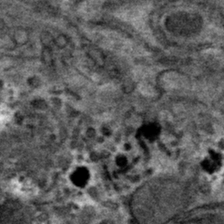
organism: Mouse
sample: Mouse hepatocytes